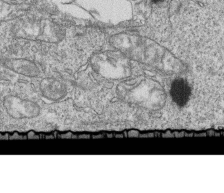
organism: Human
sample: HeLa cell HIV synapse